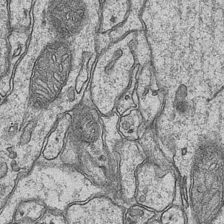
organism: Mouse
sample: CA1 Hippocampus